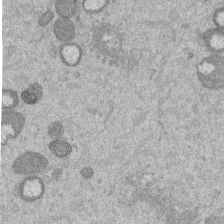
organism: Mouse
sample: Dividing mouse embryo 1 cell stage